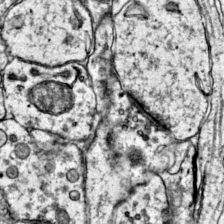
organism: Mouse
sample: Primary visual cortex